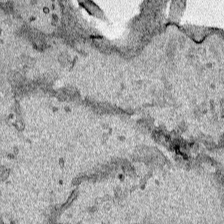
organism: Human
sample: Mitochondria in HCT116 cells